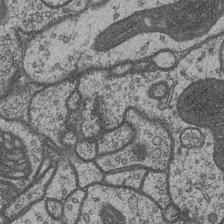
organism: Drosophila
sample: Optic medulla